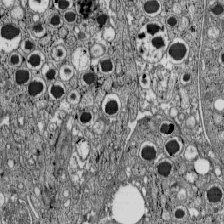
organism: C57BL Mouse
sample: Pancreatic islet